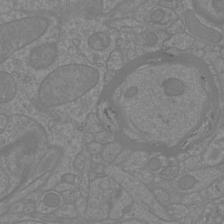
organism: Mouse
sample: Cortical neurons